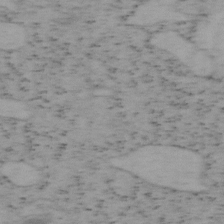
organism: Mouse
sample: OT-I killer T cells with ID8 ovarian cancer cells